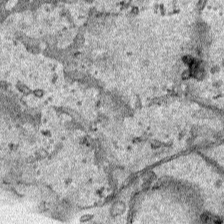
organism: Human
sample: Mitochondria in HCT116 cells